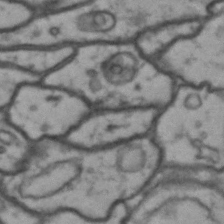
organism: Drosophila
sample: Brain